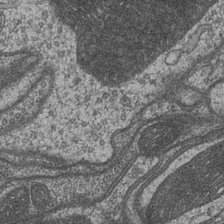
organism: Drosophila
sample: Optic medulla